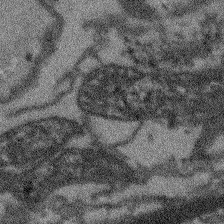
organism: Arabidopsis thaliana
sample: Root tip